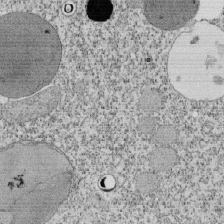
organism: Tetrahymena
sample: Cilia in tetrahymena